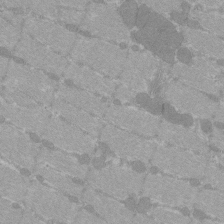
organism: C57BL Mouse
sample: Tibialis anterior muscle cell